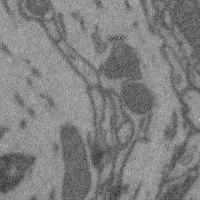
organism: Mouse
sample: Cerebral cortex